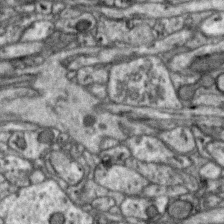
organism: Zebra finch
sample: Brain